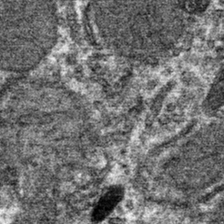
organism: Mouse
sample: Mouse hepatocytes